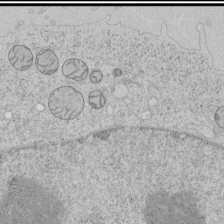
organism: Human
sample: Mitochondria in HCT116 cells